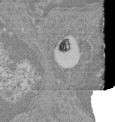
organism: Mouse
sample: Glomerulus